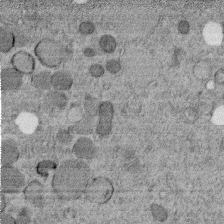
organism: C. elegans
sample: C. elegans embryo early stage